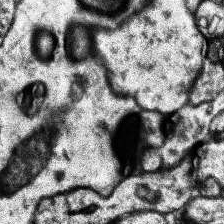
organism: Human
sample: Temporal Lobe